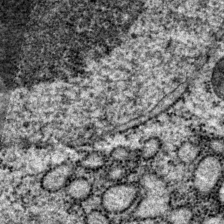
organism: P. pacificus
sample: Pharynx